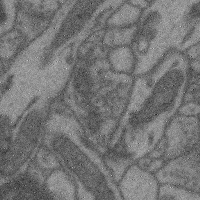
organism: Mouse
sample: Cerebral cortex